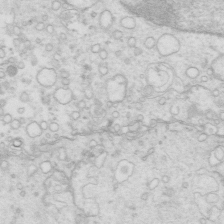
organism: Mouse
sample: Multiciliated cells